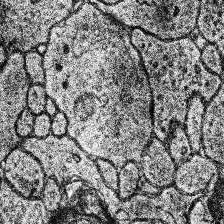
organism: Human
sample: Temporal Lobe